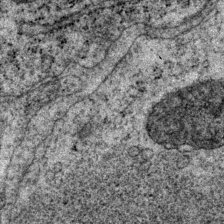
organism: P. pacificus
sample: Pharynx